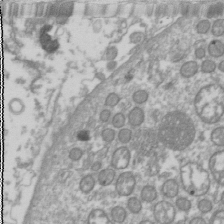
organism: Drosophila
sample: Cell division; meiosis; drosophila spermatocytes